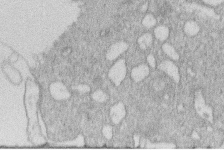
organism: Human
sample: Macrophage cells